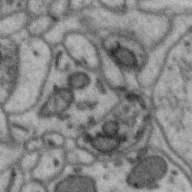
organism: Zebra finch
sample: Brain